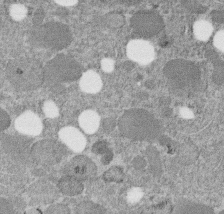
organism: C. elegans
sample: C. elegans embryo early stage